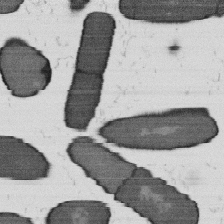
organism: B. subtilis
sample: Bacterial spore